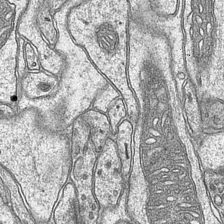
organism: Mouse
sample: CA1 Hippocampus